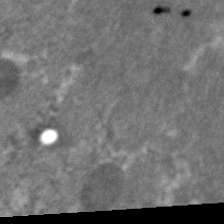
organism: C. elegans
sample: Pharynx